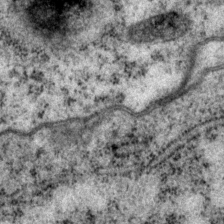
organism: P. pacificus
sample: Pharynx